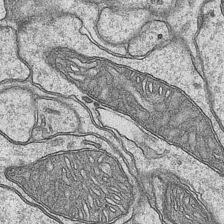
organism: Mouse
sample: CA1 Hippocampus